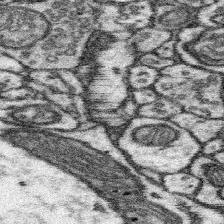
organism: Mouse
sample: Somatosensory cortex neuropil